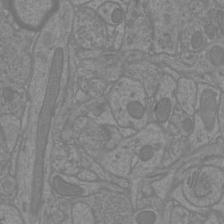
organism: Mouse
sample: Cortical neurons